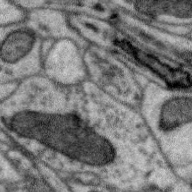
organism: Zebra finch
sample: Brain